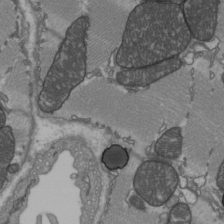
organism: C57BL Mouse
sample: Heart